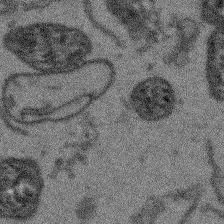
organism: Arabidopsis thaliana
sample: Root tip